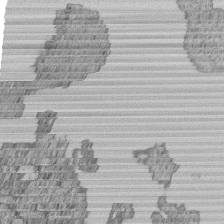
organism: Human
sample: MDA-MB-231 cells